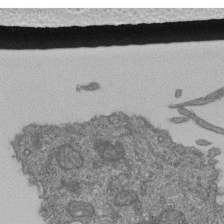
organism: Human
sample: Retinal organoid Rod and Cone cells